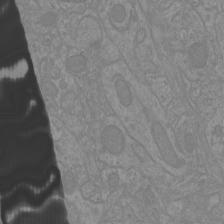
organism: Mouse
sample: Cortical neurons